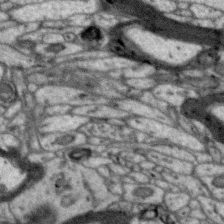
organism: Zebra finch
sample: Brain